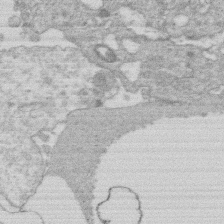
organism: Human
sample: Macrophage cells